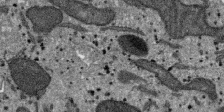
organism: Human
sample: Lung epithelial cells, uninfected (mock) control